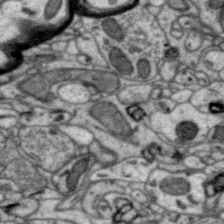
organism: Zebra finch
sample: Brain